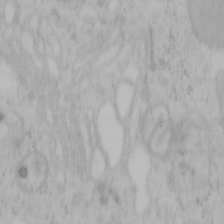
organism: Mouse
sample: OT-I killer T cells with ID8 ovarian cancer cells